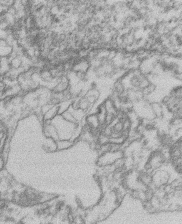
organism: Mouse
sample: T cell stromal cell synapse